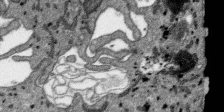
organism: Human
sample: Lung epithelial cells, uninfected (mock) control